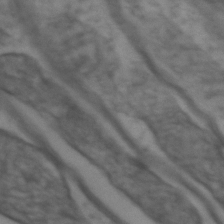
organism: Zebrafish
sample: Zebrafish embryo